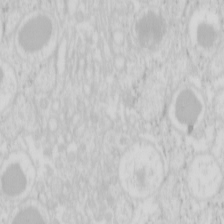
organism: Mouse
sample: Pancreas